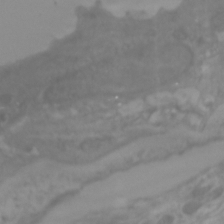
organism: Zebrafish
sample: Zebrafish embryo